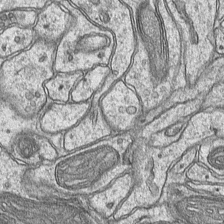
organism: Mouse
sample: CA1 Hippocampus